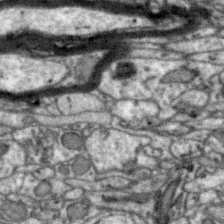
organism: Zebra finch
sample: Brain